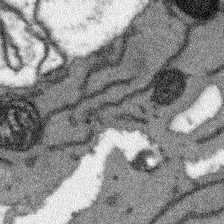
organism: Arabidopsis thaliana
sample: Root tip